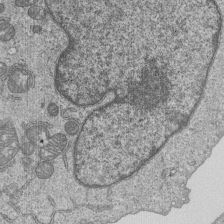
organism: Human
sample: MDA-MB-231 cells